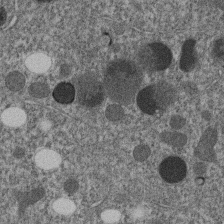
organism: C. elegans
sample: C. elegans embryo early stage